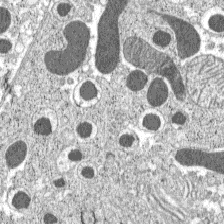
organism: C57BL Mouse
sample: Pancreatic islet